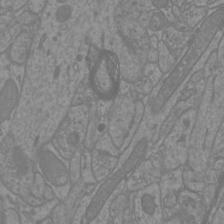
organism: Mouse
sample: Cortical neurons